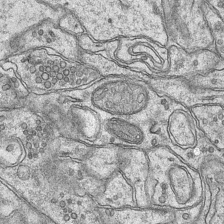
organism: Mouse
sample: CA1 Hippocampus